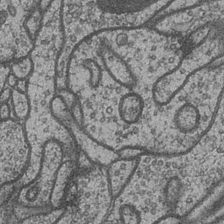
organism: Drosophila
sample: Optic medulla